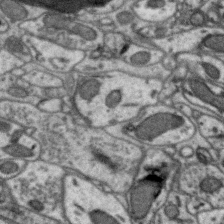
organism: Zebra finch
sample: Brain